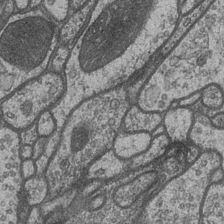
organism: Drosophila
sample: Optic medulla